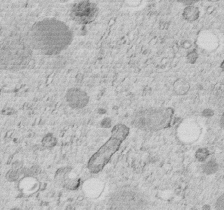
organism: C. elegans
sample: C. elegans embryo early stage